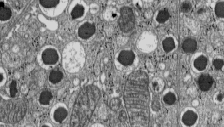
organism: C57BL Mouse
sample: Pancreatic islet